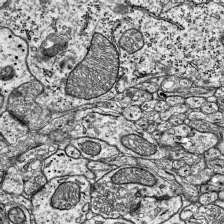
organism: Mouse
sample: Visual Cortex